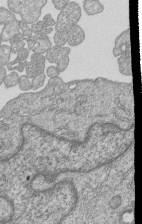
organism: Human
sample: MDA-MB-231 cells